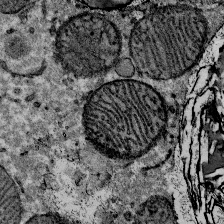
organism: Mouse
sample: Mouse Salivary gland